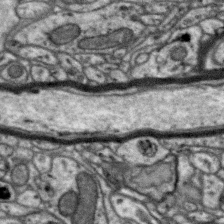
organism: Zebra finch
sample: Brain